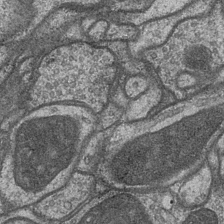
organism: Drosophila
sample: Optic medulla